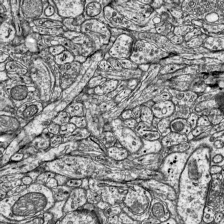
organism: Mouse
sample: Visual Cortex